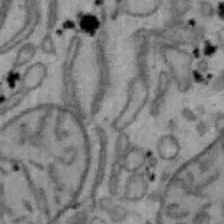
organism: Mouse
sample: Liver